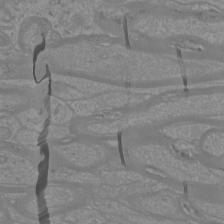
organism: Mouse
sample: Cortical neurons